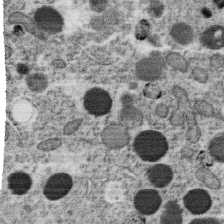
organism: C. elegans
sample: C. elegans oocyte; sperm cells